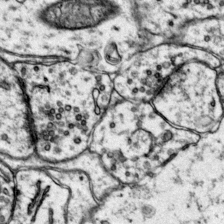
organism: Mouse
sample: Primary visual cortex